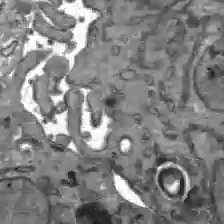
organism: C57BL Mouse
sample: Liver